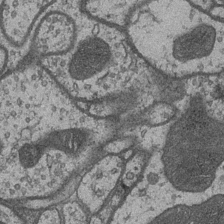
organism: Drosophila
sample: Optic medulla